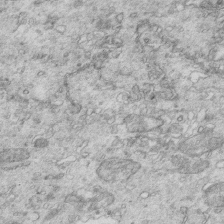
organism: Mouse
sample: Multiciliated cells